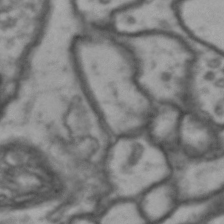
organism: Drosophila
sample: Brain